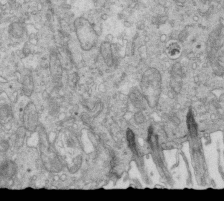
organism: Mouse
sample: Multiciliated cells